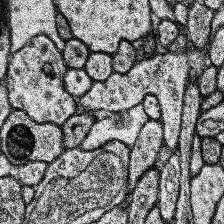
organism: Human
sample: Temporal Lobe